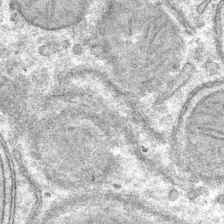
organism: Mouse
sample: Mouse hepatocytes